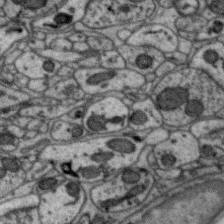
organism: Zebra finch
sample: Brain